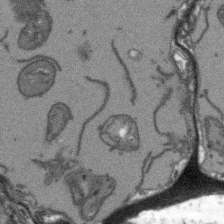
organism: Arabidopsis thaliana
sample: Root tip